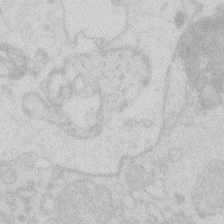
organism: Zebrafish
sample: Macrophage